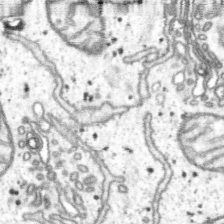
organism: Human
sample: HeLa cells